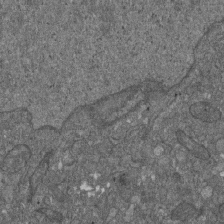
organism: Drosophila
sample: Nephrocyte